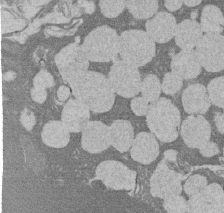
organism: Rat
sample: Salivary granule